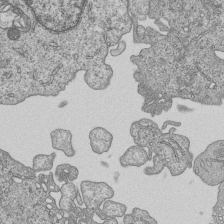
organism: Human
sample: MDA-MB-231 cells